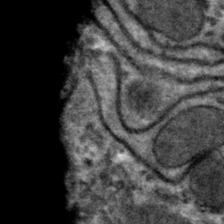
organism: Mouse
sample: Mouse hepatocytes